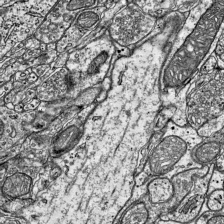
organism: Mouse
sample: Visual Cortex